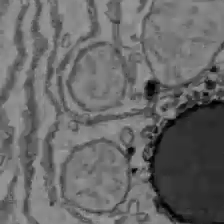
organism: C57BL Mouse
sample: Liver